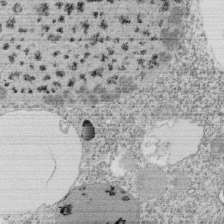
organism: Tetrahymena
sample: Cilia in tetrahymena